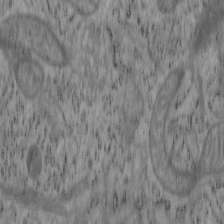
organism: Human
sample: HeLa cells